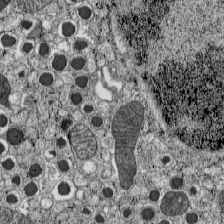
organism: C57BL Mouse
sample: Pancreatic islet